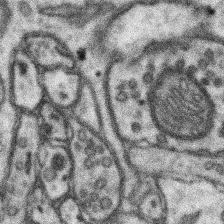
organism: Mouse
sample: Somatosensory cortex neuropil